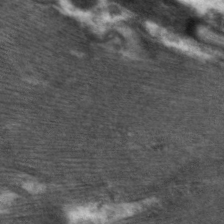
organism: C. elegans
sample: Pharynx